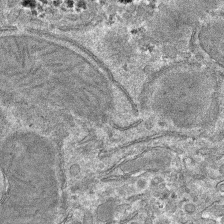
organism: Mouse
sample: Mouse hepatocytes